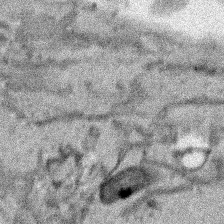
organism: Human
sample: Mitochondria in HCT116 cells